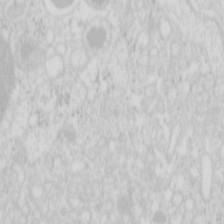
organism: Mouse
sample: Pancreas